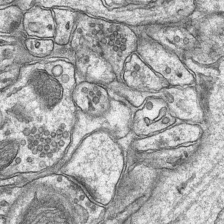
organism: Mouse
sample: CA1 Hippocampus